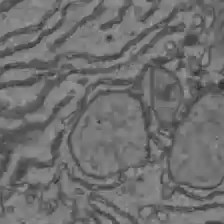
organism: C57BL Mouse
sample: Liver